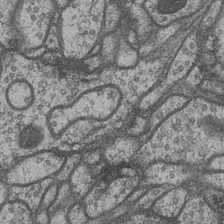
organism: Drosophila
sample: Optic medulla